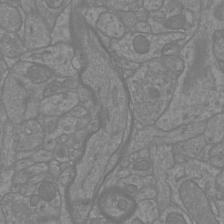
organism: Mouse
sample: Cortical neurons